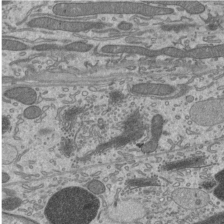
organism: Mouse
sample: Mouse epididymis efferent ductule cilia